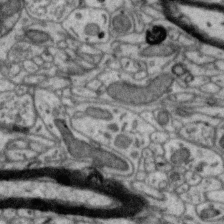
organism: Zebra finch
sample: Brain